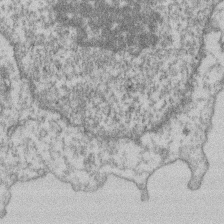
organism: Mouse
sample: T cell stromal cell synapse